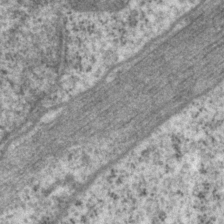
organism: P. pacificus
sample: Pharynx